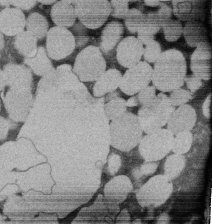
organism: Rat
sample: Salivary granule